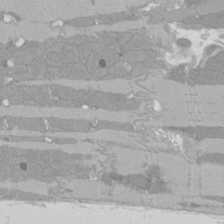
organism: Rat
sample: Left ventricle